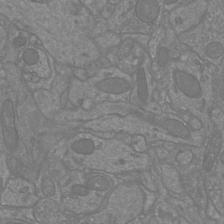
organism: Mouse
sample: Cortical neurons